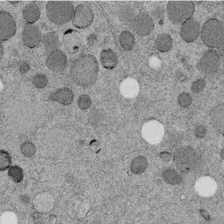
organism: C. elegans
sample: C. elegans embryo early stage